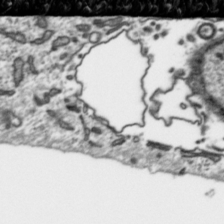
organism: Toxoplasma gondii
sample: Parasites in a vacuole inside a host cell